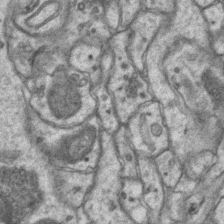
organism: Mouse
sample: CA1 Hippocampus